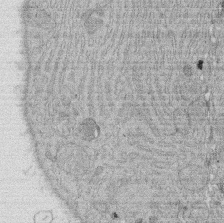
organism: Rat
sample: Salivary granule